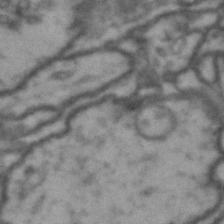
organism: Drosophila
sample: Brain